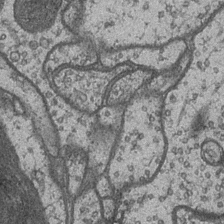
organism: Drosophila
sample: Optic medulla